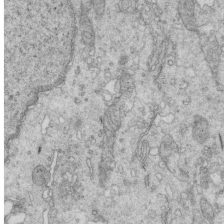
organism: Mouse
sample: Multiciliated cells